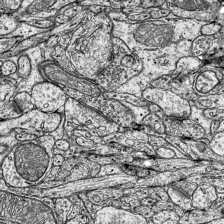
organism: Mouse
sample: Visual Cortex